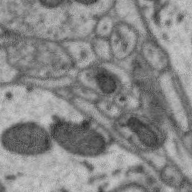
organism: Zebra finch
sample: Brain